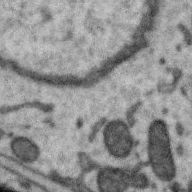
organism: Zebra finch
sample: Brain